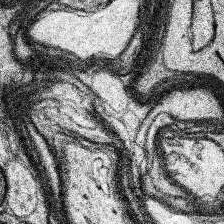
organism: Human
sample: Temporal Lobe